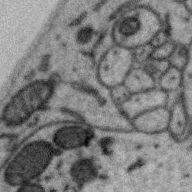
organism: Zebra finch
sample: Brain